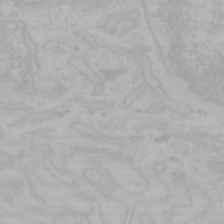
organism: Mouse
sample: Choroid plexus